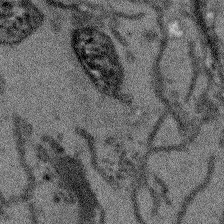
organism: Arabidopsis thaliana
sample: Root tip